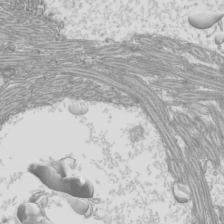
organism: Mouse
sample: Cilia; mouse epididymis